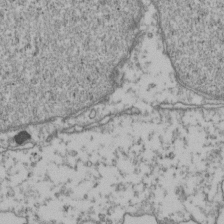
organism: Human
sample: Activated Jurkat CD4+ T cells